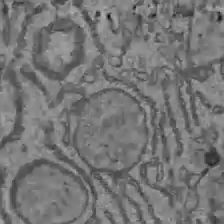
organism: C57BL Mouse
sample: Liver